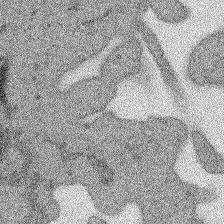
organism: Human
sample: HeLa cells